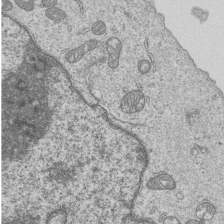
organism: Human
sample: MDA-MB-231 cells